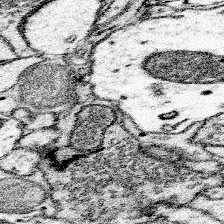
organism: Mouse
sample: Somatosensory cortex neuropil